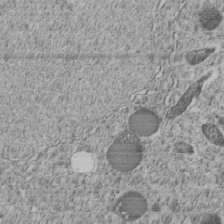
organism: C. elegans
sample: C. elegans embryo early stage